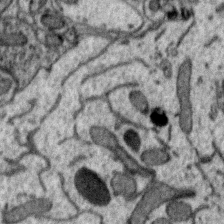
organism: Zebra finch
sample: Brain